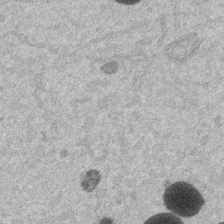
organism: Mouse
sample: Dividing mouse embryo 1 cell stage